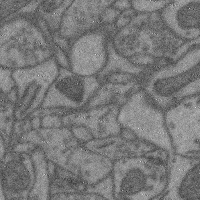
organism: Mouse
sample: Cerebral cortex